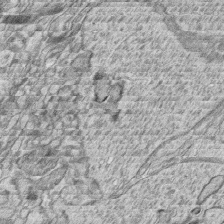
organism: Zebrafish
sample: synaptic ribbons in rod cells and cone cells